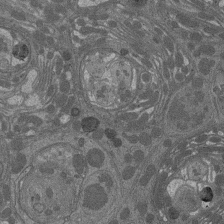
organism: Drosophila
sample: Antenna